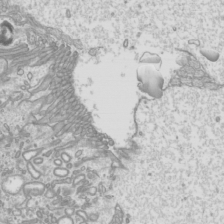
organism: Mouse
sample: Cilia; mouse epididymis